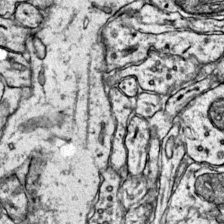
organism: Mouse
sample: Primary visual cortex